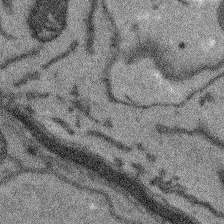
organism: Arabidopsis thaliana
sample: Root tip